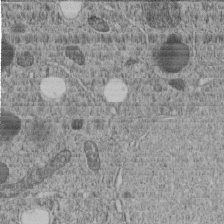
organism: C. elegans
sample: C. elegans embryo early stage